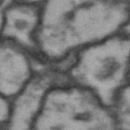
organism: Drosophila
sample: Brain